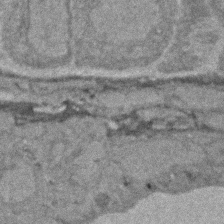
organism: Zebrafish